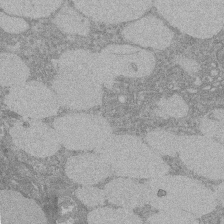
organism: Rat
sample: Salivary granule